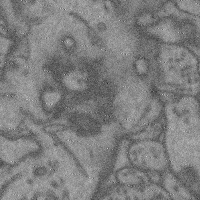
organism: Mouse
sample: Cerebral cortex